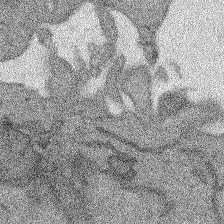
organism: Human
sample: HeLa cells